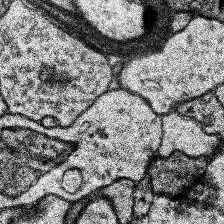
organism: Human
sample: Temporal Lobe